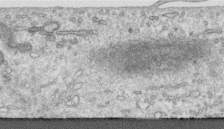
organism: Human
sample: Centriole in RPE cells